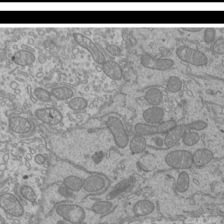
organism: Mouse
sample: Cilia; mouse epididymis